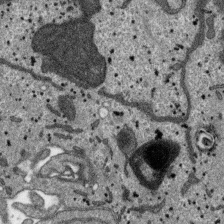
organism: Human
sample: Lung epithelial cells, uninfected (mock) control